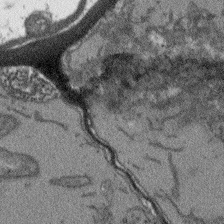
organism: Arabidopsis thaliana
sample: Root tip